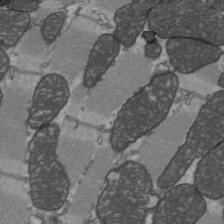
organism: C57BL Mouse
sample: Heart